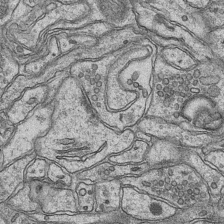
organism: Mouse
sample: CA1 Hippocampus